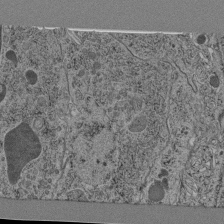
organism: C. elegans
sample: C. elegans pharynx